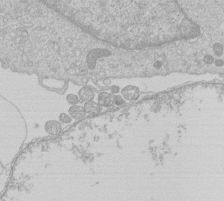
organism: Human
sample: Macrophage cells